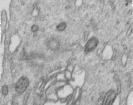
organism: Human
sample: Centriole in RPE cells